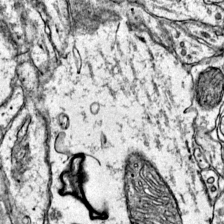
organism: Mouse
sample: Primary visual cortex